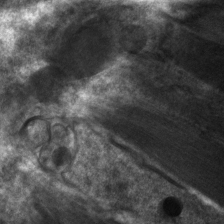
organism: C. elegans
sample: Pharynx